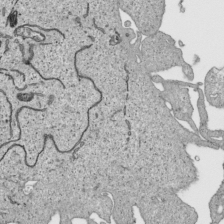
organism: Human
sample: Mitochondria in HCT116 cells